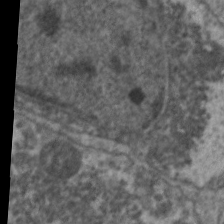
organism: C. elegans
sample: Pharynx